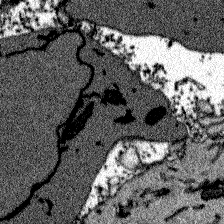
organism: Zebrafish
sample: Larval olfactory bulb